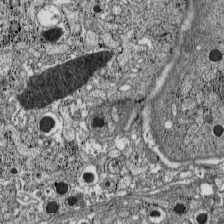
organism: C57BL Mouse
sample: Pancreatic islet